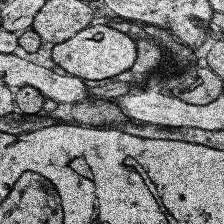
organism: Human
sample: Temporal Lobe